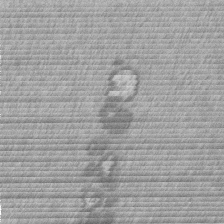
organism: Mouse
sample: Dividing mouse embryo 1 cell stage